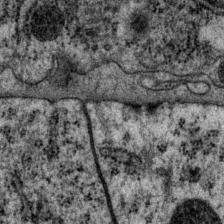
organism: P. pacificus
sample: Pharynx